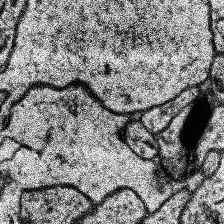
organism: Human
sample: Temporal Lobe